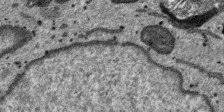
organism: Human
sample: Lung epithelial cells, uninfected (mock) control